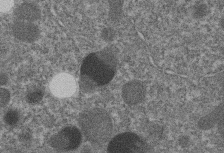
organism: C. elegans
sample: C. elegans embryo early stage